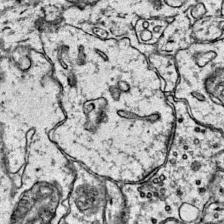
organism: Mouse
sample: Primary visual cortex